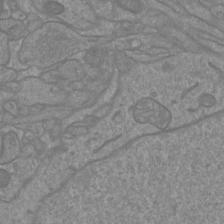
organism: Mouse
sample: Cortical neurons